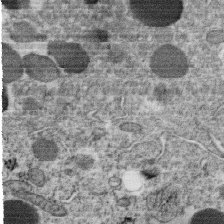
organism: C. elegans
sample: C. elegans oocyte; sperm cells